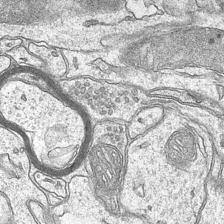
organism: Mouse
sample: CA1 Hippocampus